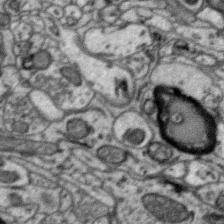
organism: Zebra finch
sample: Brain